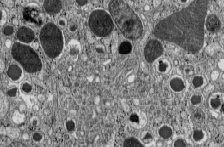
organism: C57BL Mouse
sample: Pancreatic islet